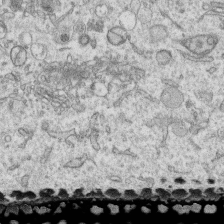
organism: Human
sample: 1205lu cells